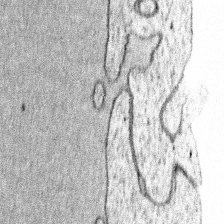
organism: Human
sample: HeLa cells